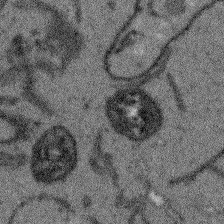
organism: Arabidopsis thaliana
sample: Root tip